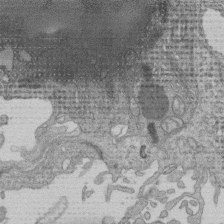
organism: Human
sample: Retinal organoid Rod and Cone cells